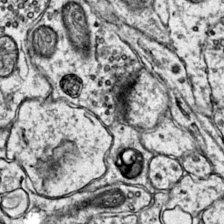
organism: Mouse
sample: Primary visual cortex